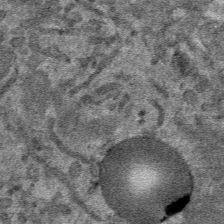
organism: Mouse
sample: Mouse hepatocytes